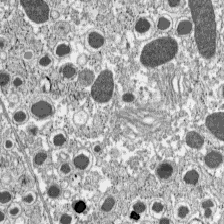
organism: C57BL Mouse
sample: Pancreatic islet